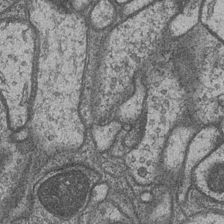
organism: Drosophila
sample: Optic medulla